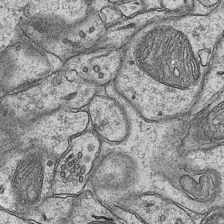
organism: Mouse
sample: CA1 Hippocampus